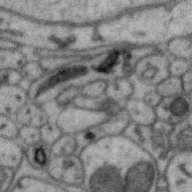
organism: Zebra finch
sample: Brain